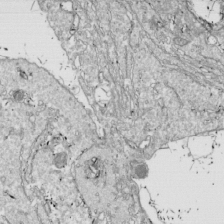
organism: Drosophila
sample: Cell division; meiosis; drosophila spermatocytes